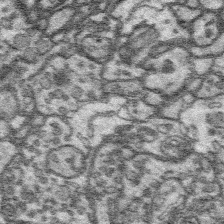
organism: Platynereis dumerilii